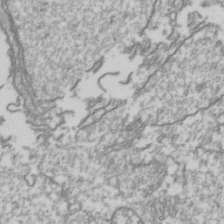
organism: Drosophila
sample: Cell division; meiosis; drosophila spermatocytes